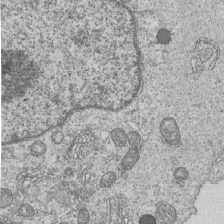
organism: Human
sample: MDA-MB-231 cells